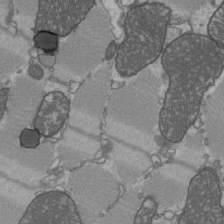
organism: C57BL Mouse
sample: Heart